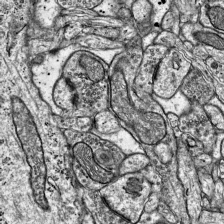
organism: Mouse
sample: Visual Cortex